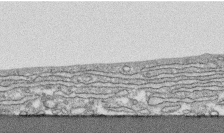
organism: Human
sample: CRL-1474